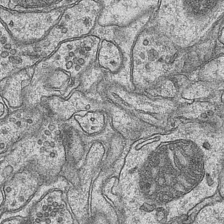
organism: Mouse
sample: CA1 Hippocampus